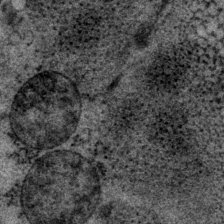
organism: P. pacificus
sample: Pharynx